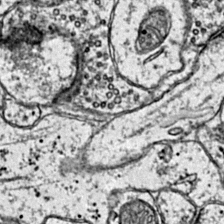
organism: Mouse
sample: Primary visual cortex